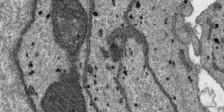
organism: Human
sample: Lung epithelial cells, uninfected (mock) control